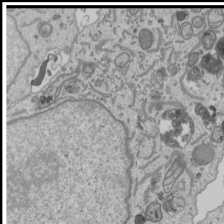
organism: Human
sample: Mitochondria in U2OS cells